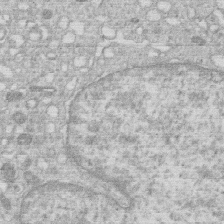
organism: Human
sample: Macrophage cells